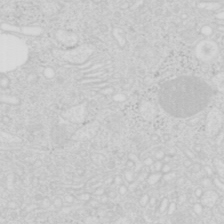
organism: Mouse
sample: Pancreas